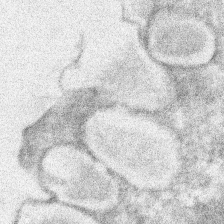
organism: Xenopus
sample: Cilia; centrioles in frog embryo cells